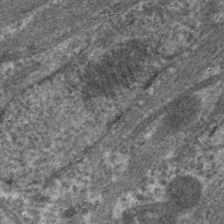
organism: C. elegans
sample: Pharynx